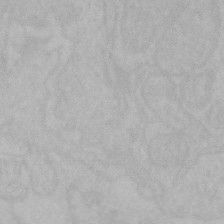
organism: Mouse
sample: Choroid plexus